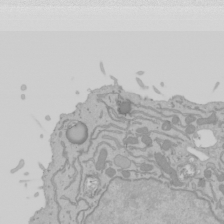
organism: Mouse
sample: Cancer cell death in ED-1 cells